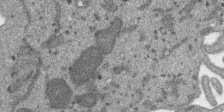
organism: Human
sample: Lung epithelial cells infected with SARS-CoV-2